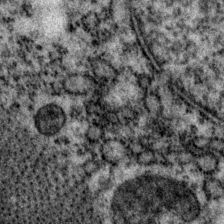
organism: P. pacificus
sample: Pharynx